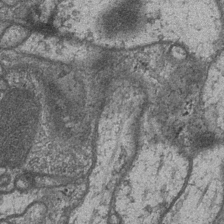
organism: Drosophila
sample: Optic medulla